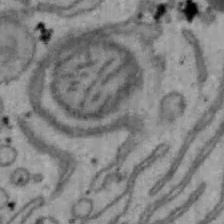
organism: Mouse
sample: Liver